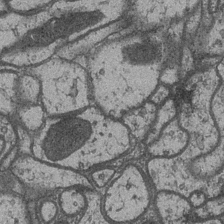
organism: Drosophila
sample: Optic medulla